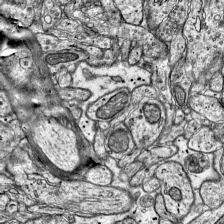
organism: Mouse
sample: Visual Cortex